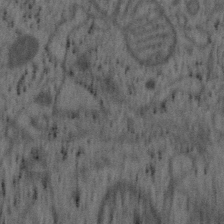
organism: Human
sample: HeLa cells